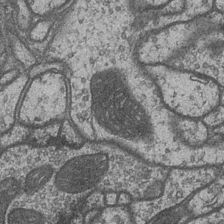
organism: Drosophila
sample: Optic medulla